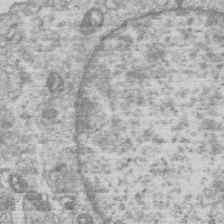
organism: Human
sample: Macrophage cells